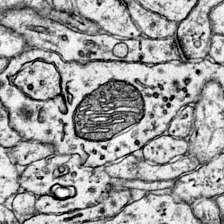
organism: Mouse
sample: Primary visual cortex